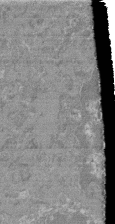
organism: Mouse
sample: Glomerulus